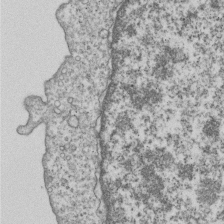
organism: Human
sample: MDA-MB-231 cells